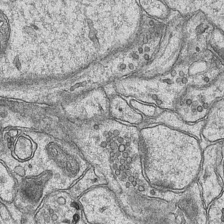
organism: Mouse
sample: CA1 Hippocampus